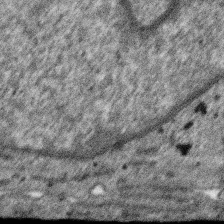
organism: Human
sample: Lung epithelial cells infected with SARS-CoV-2